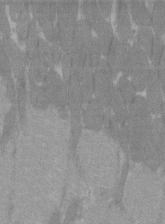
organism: C57BL Mouse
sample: Tibialis anterior muscle cell